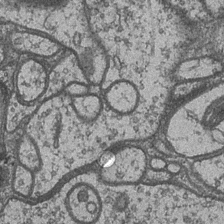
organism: Drosophila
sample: Optic medulla